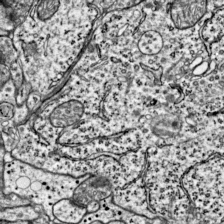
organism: Mouse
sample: Visual Cortex